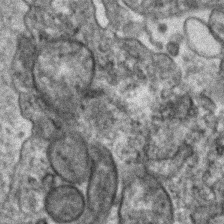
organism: Human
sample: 1205lu cells